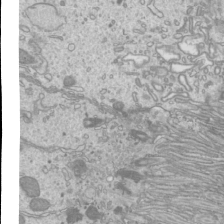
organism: Mouse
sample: Cilia; mouse epididymis